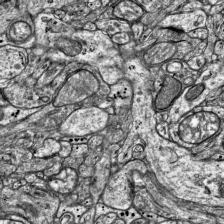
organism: Mouse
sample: Visual Cortex